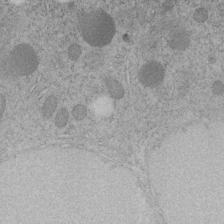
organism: C. elegans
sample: C. elegans embryo early stage